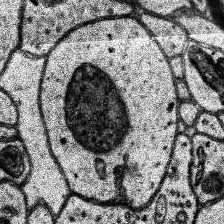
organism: Human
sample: Temporal Lobe